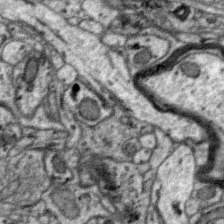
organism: Zebra finch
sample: Brain